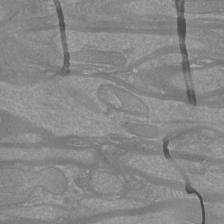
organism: Mouse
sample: Cortical neurons